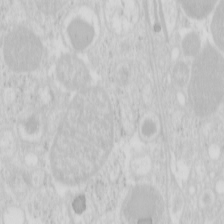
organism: Mouse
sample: Pancreas